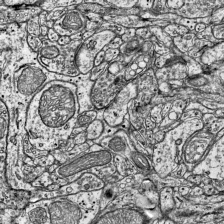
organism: Mouse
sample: Visual Cortex